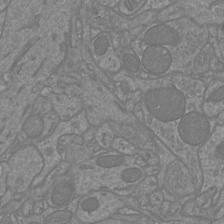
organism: Mouse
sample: Cortical neurons